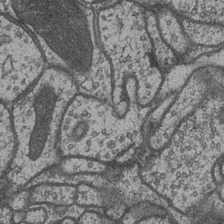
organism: Drosophila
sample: Optic medulla